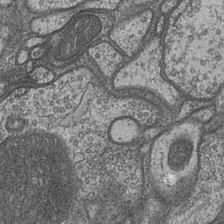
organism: Drosophila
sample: Optic medulla